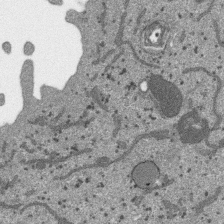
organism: Human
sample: Lung epithelial cells infected with SARS-CoV-2